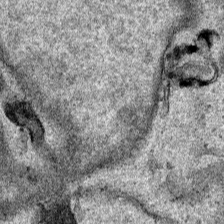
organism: Human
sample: Mitochondria in HCT116 cells